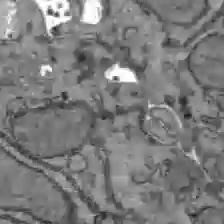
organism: C57BL Mouse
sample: Liver